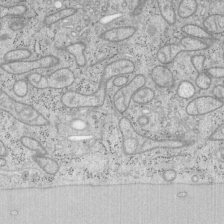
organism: Mouse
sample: OT-I killer T cells with ID8 ovarian cancer cells